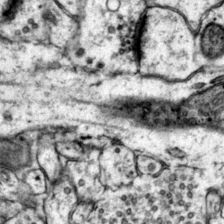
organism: Mouse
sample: Primary visual cortex